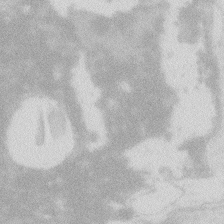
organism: Zebrafish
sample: Macrophage